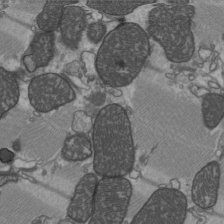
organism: C57BL Mouse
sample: Heart